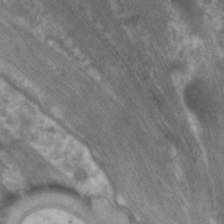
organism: C. elegans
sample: Pharynx